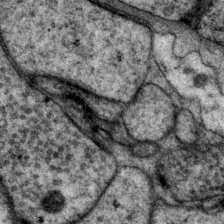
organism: P. pacificus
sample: Pharynx